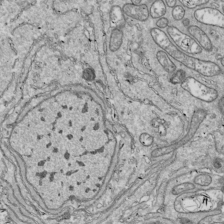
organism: Drosophila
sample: Cell division; meiosis; drosophila spermatocytes